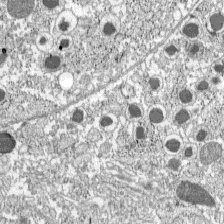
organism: C57BL Mouse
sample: Pancreatic islet